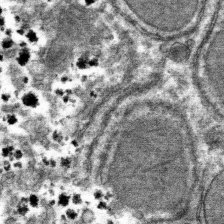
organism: Mouse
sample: Mouse hepatocytes